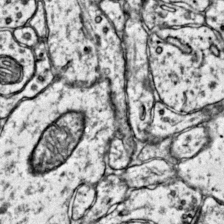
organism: Mouse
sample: Primary visual cortex